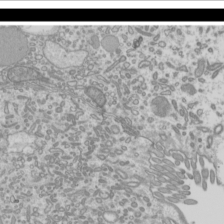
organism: Mouse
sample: Cilia; mouse epididymis